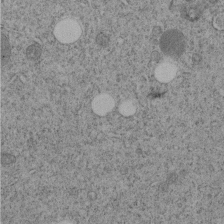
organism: C. elegans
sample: C. elegans embryo early stage